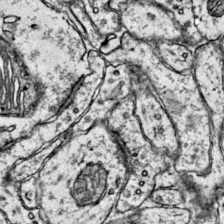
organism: Mouse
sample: Primary visual cortex